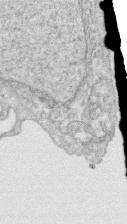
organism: Human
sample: HeLa cell HIV synapse